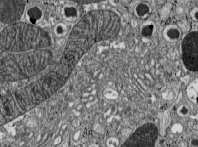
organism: C57BL Mouse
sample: Pancreatic islet